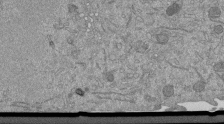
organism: Mouse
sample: ED-1 cell nuclei; centrioles